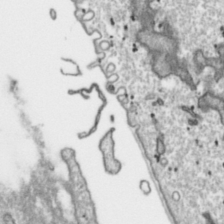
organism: Toxoplasma gondii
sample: Parasites in a vacuole inside a host cell